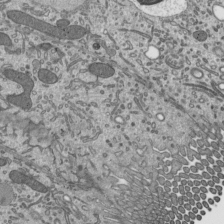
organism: Mouse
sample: Mouse epididymis efferent ductule cilia